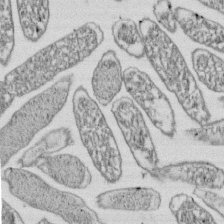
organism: E. coli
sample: Bacterial nucleoid